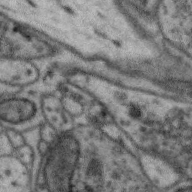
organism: Zebra finch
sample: Brain